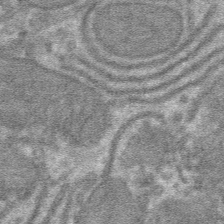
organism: Mouse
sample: Mouse hepatocytes